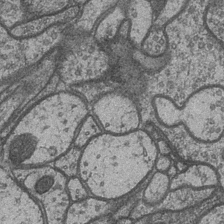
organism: Drosophila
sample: Optic medulla